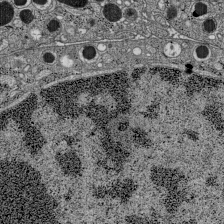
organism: C57BL Mouse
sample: Pancreatic islet